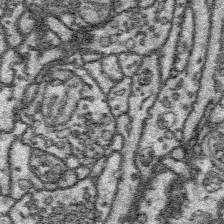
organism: Platynereis dumerilii